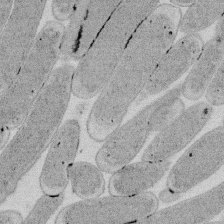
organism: E. coli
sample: Bacterial nucleoid